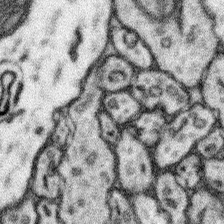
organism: Mouse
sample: Somatosensory cortex neuropil